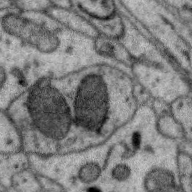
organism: Zebra finch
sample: Brain